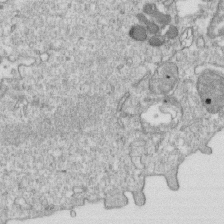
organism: Mouse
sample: Activated OT-1 CD8+ T cells